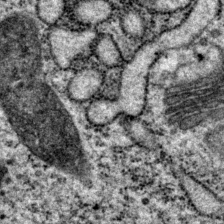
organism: P. pacificus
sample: Pharynx